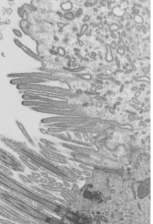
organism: Mouse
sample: Mouse epididymis efferent ductule cilia